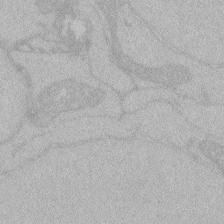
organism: Zebrafish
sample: Macrophage infected with Toxoplasma gondii